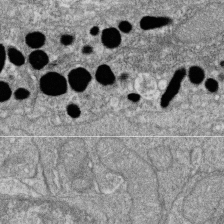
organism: Zebrafish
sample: Cilia; retinal pigment epithelium